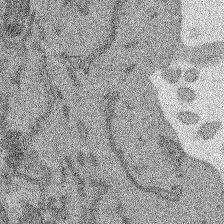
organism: Human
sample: HeLa cells